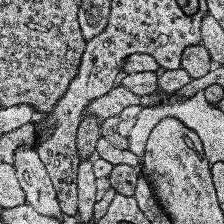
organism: Human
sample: Temporal Lobe